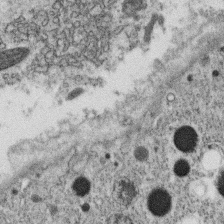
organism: C. elegans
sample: C. elegans oocyte; sperm cells